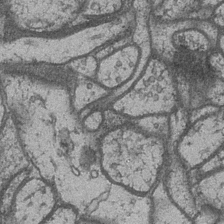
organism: Drosophila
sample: Optic medulla